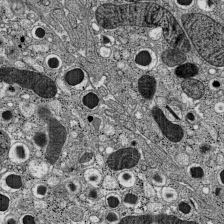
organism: C57BL Mouse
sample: Pancreatic islet